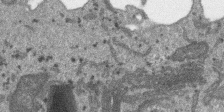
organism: Human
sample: Lung epithelial cells infected with SARS-CoV-2